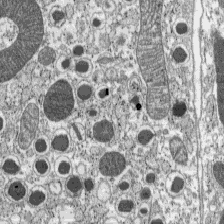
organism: C57BL Mouse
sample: Pancreatic islet